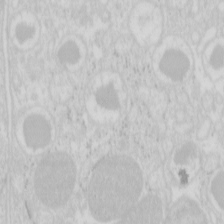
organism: Mouse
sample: Pancreas